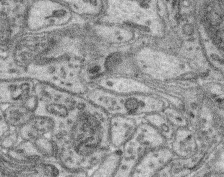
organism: Mouse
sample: Retina